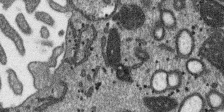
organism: Human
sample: Lung epithelial cells infected with SARS-CoV-2